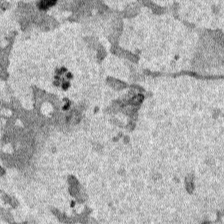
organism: Human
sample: Mitochondria in HCT116 cells